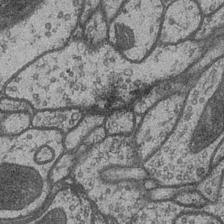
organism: Drosophila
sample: Optic medulla